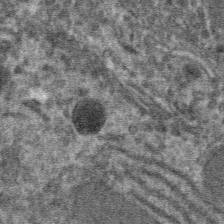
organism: Mouse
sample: Mouse hepatocytes